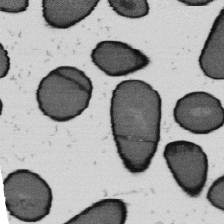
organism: B. subtilis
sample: Bacterial spore